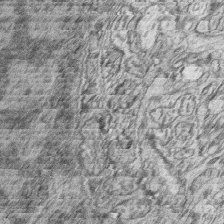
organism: Zebrafish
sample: synaptic ribbons in rod cells and cone cells